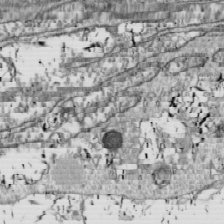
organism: Drosophila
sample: Cell division; meiosis; drosophila spermatocytes